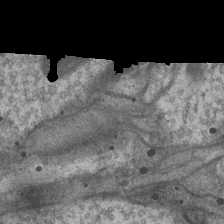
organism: Drosophila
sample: Optic medulla